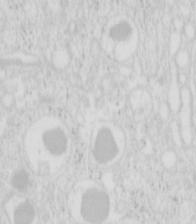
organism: Mouse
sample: Pancreas